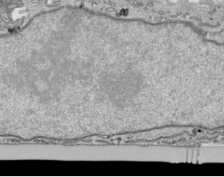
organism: Human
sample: Mitochondria in HCT116 cells